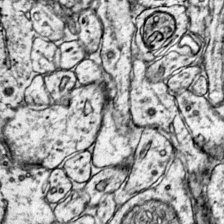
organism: Mouse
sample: Primary visual cortex